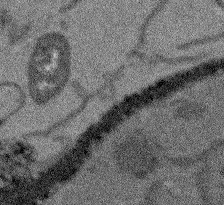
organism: Arabidopsis thaliana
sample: Root tip